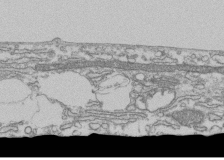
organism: Human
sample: Fibroblast cells